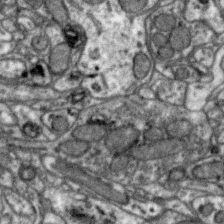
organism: Zebra finch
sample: Brain